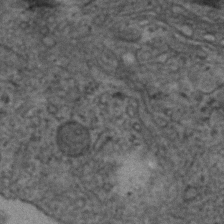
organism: Human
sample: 1205lu cells